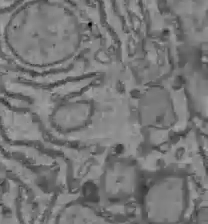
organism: C57BL Mouse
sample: Liver